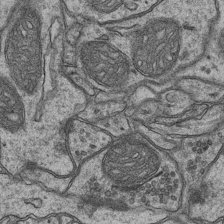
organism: Mouse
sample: CA1 Hippocampus